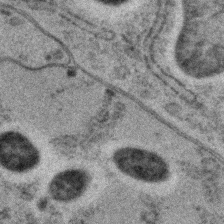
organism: C. elegans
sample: C. elegans embryo